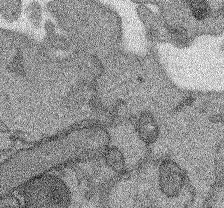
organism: Human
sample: HeLa cells